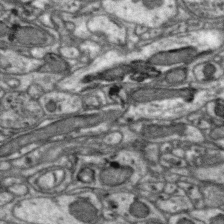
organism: Zebra finch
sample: Brain